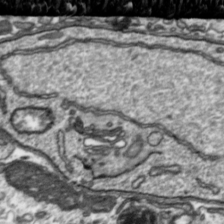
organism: Toxoplasma gondii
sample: Parasites in a vacuole inside a host cell